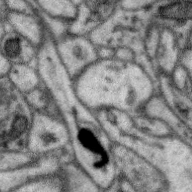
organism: Zebra finch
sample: Brain